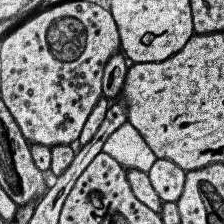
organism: Human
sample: Temporal Lobe